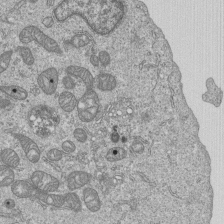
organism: Human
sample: MDA-MB-231 cells